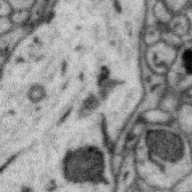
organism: Zebra finch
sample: Brain